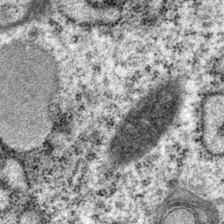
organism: P. pacificus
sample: Pharynx